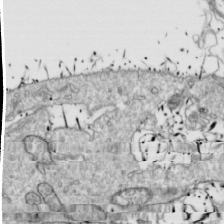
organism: Drosophila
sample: Cell division; meiosis; drosophila spermatocytes